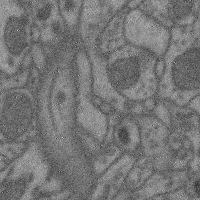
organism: Mouse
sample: Cerebral cortex